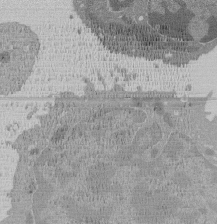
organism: Mouse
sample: Activated Pmel transgenic CD8+ T Cells